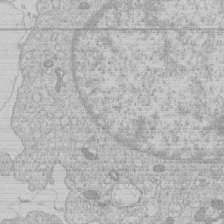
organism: Human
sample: Macrophage cells